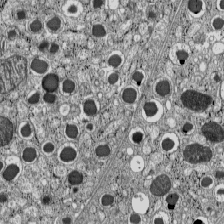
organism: C57BL Mouse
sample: Pancreatic islet